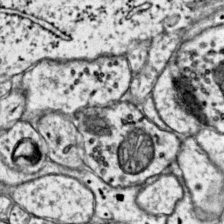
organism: Mouse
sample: Primary visual cortex